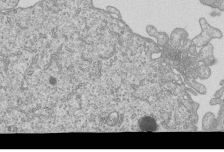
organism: Human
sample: MDA-MB-231 cells